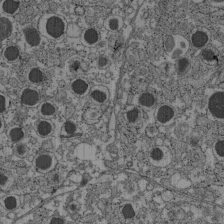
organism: C57BL Mouse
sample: Pancreatic islet